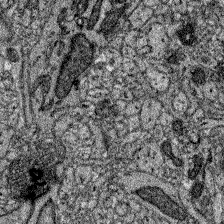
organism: Zebrafish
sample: Larval olfactory bulb